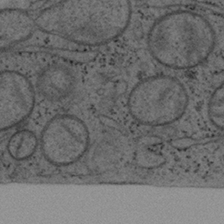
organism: Human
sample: HeLa cells